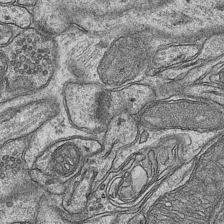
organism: Mouse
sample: CA1 Hippocampus